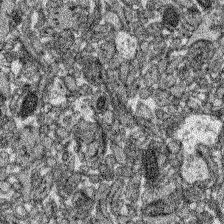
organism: Zebrafish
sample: Larval olfactory bulb